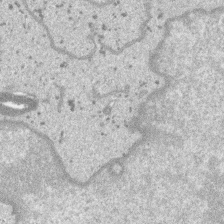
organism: Human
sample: Lung epithelial cells infected with SARS-CoV-2